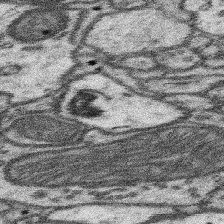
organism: Mouse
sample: Somatosensory cortex neuropil